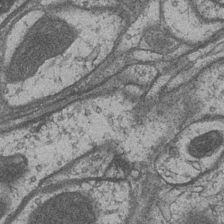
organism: Drosophila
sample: Optic medulla